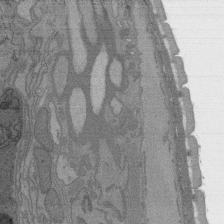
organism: C. elegans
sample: AFD neurons C. elegans